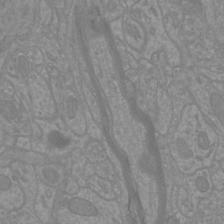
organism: Mouse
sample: Cortical neurons